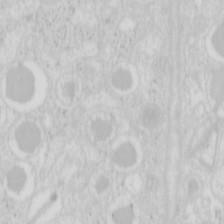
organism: Mouse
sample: Pancreas